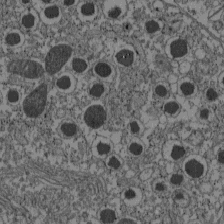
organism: C57BL Mouse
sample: Pancreatic islet